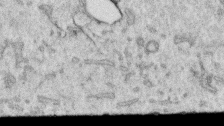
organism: Human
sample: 1205lu cells